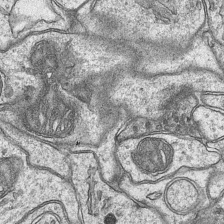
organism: Mouse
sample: CA1 Hippocampus